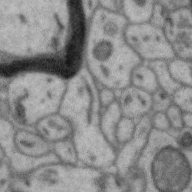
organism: Zebra finch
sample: Brain